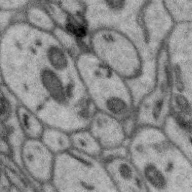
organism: Zebra finch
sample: Brain